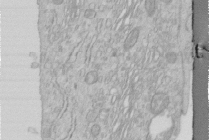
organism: Human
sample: Centriole in RPE cells